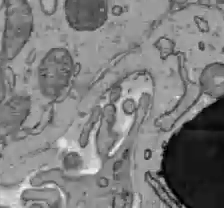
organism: C57BL Mouse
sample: Liver